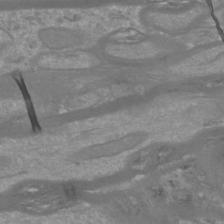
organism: Mouse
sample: Cortical neurons